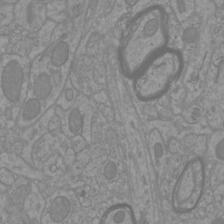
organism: Mouse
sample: Cortical neurons